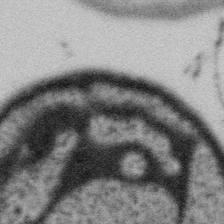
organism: Gemmata obscuriglobus